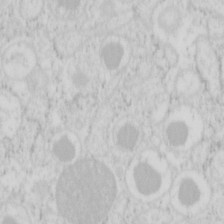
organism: Mouse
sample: Pancreas